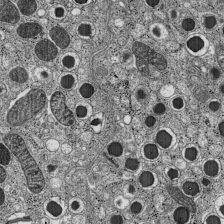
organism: C57BL Mouse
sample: Pancreatic islet